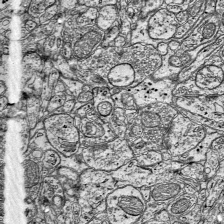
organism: Mouse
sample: Visual Cortex